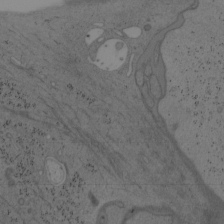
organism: Mouse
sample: OT-I killer T cells with ID8 ovarian cancer cells